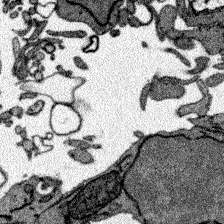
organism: Zebrafish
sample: Larval olfactory bulb